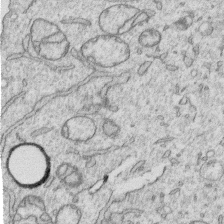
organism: Human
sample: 1205lu cells